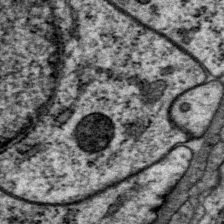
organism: P. pacificus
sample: Pharynx